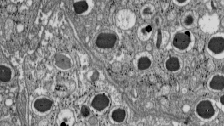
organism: C57BL Mouse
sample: Pancreatic islet